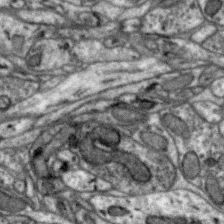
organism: Zebra finch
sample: Brain